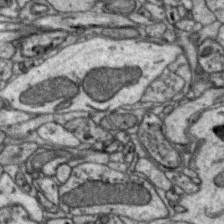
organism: Zebra finch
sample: Brain